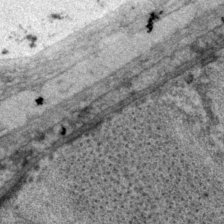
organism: P. pacificus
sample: Pharynx